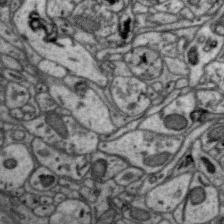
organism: Zebra finch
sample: Brain